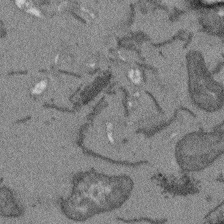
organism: Arabidopsis thaliana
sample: Root tip